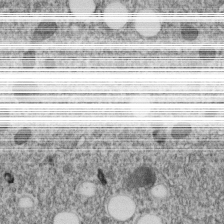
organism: C. elegans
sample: C. elegans embryo early stage